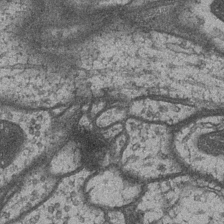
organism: Drosophila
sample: Optic medulla